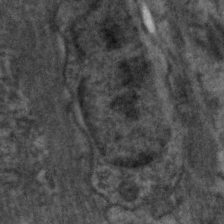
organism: C. elegans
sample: Pharynx